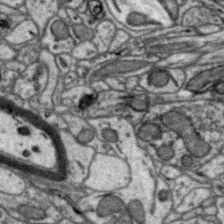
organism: Zebra finch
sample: Brain